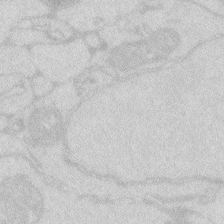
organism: Zebrafish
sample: Macrophage